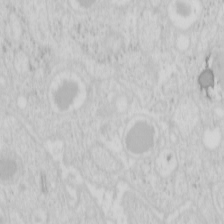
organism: Mouse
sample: Pancreas